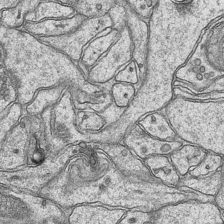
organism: Mouse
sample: CA1 Hippocampus